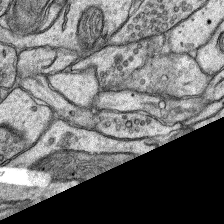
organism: Rat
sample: Hippocampus